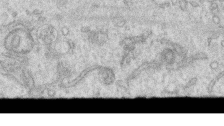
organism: Human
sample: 1205lu cells